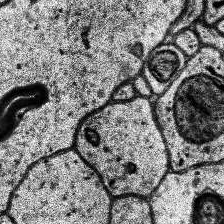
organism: Human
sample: Temporal Lobe